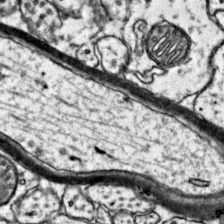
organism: Mouse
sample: Primary visual cortex